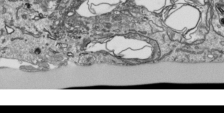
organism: Human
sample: Mitochondria in HCT116 cells